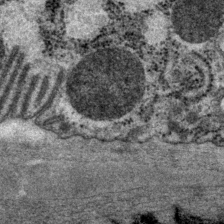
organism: P. pacificus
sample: Pharynx